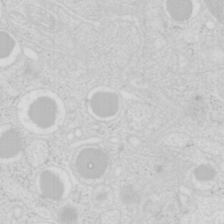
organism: Mouse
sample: Pancreas